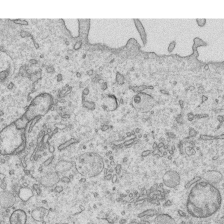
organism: Human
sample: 1205lu cells